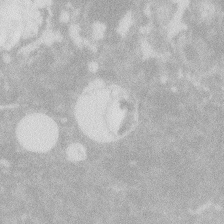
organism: Zebrafish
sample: Macrophage